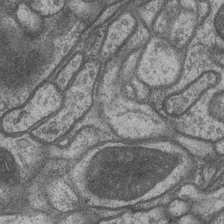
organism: Drosophila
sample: Optic medulla